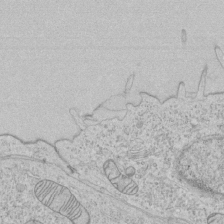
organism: Human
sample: Mitochondria in HCT116 cells